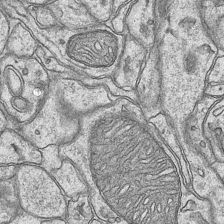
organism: Mouse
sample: CA1 Hippocampus